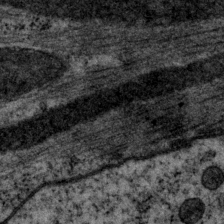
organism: P. pacificus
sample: Pharynx